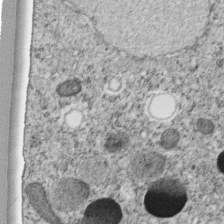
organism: C. elegans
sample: C. elegans embryo early stage